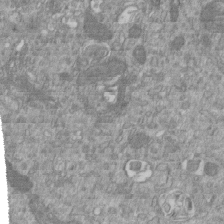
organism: Mouse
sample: ED-1 cell nuclei; centrioles